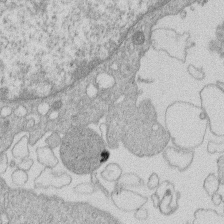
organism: Human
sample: Macrophage cells